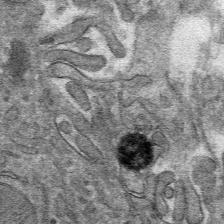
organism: Mouse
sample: Mouse hepatocytes